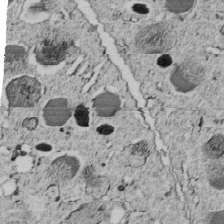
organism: C. elegans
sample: C. elegans embryo early stage